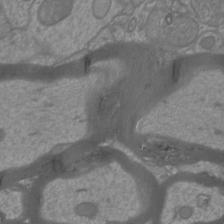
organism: Mouse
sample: Cortical neurons